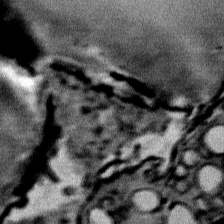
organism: Mouse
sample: Mouse Salivary gland